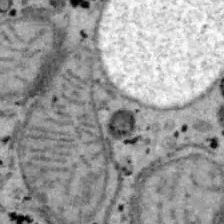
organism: Mouse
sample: Liver from an obese (ob/ob) mouse